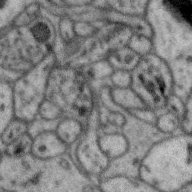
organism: Zebra finch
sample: Brain